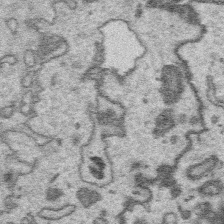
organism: Platynereis dumerilii